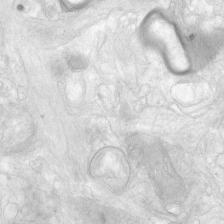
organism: Human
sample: Neocortex